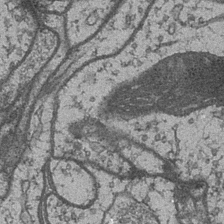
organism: Drosophila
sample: Optic medulla